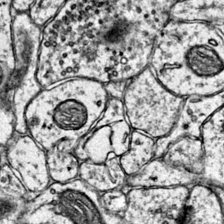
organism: Mouse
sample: Primary visual cortex